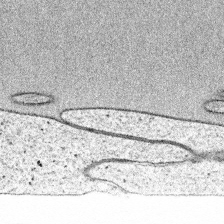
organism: Human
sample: HeLa cells